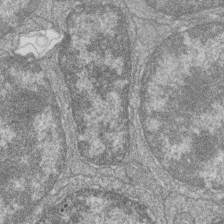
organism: Zebrafish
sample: Cilia; retinal pigment epithelium